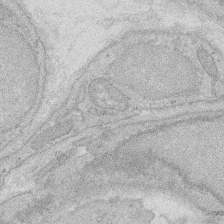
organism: Rat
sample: Salivary granule